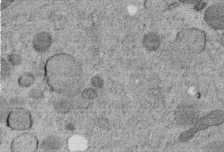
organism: C. elegans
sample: C. elegans embryo early stage